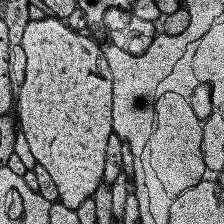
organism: Human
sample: Temporal Lobe